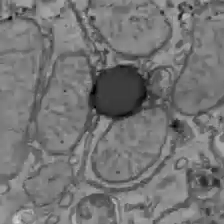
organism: C57BL Mouse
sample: Liver